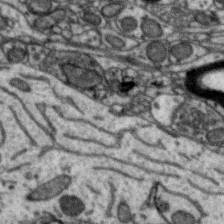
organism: Zebra finch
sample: Brain